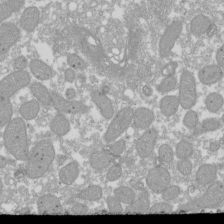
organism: Xenopus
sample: Cilia; centrioles in frog embryo cells